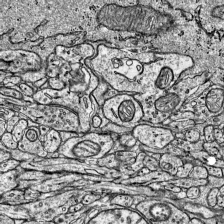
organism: Mouse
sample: Visual Cortex